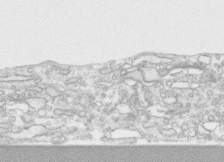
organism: Human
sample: CRL-1474